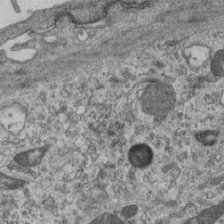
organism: Mouse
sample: Centriole in ependymal cells